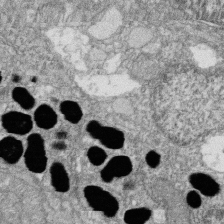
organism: Zebrafish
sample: Cilia; retinal pigment epithelium